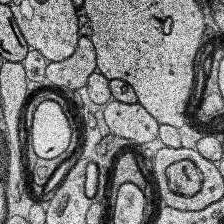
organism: Human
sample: Temporal Lobe